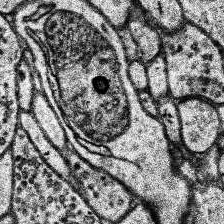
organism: Human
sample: Temporal Lobe